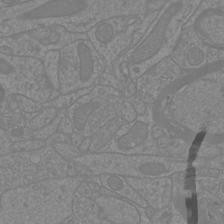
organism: Mouse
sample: Cortical neurons